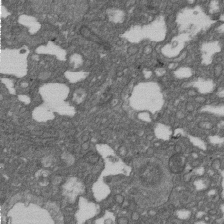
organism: Drosophila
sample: Nephrocyte